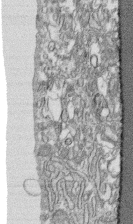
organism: Human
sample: CRL-1474